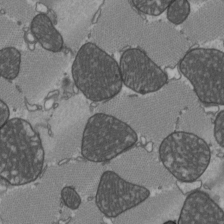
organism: C57BL Mouse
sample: Heart